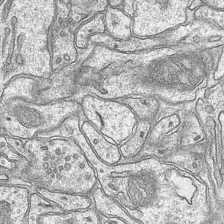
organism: Mouse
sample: CA1 Hippocampus